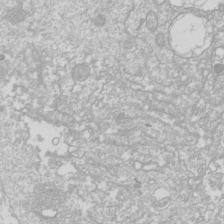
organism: Drosophila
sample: Cell division; meiosis; drosophila spermatocytes